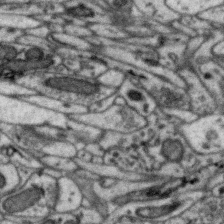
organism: Zebra finch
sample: Brain